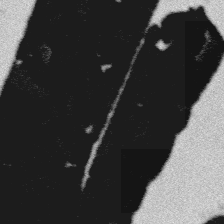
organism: Platynereis dumerilii